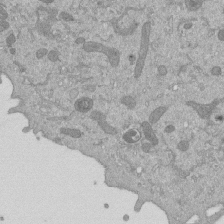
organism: Mouse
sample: ED-1 cell nuclei; centrioles